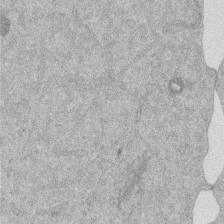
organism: Mouse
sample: Dividing mouse embryo 1 cell stage